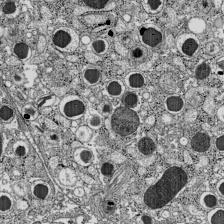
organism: C57BL Mouse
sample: Pancreatic islet